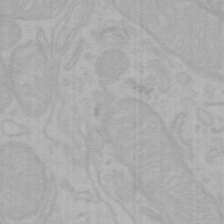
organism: Mouse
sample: Choroid plexus